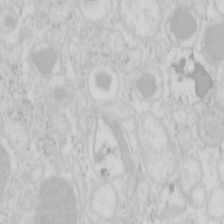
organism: Mouse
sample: Pancreas